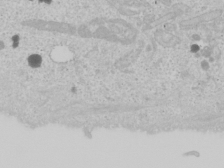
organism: Human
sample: Mitochondria in U2OS cells